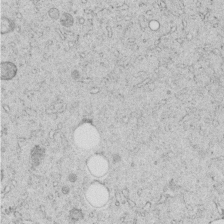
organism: C. elegans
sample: C. elegans embryo early stage